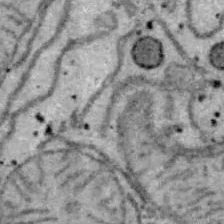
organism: Mouse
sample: Liver from an obese (ob/ob) mouse